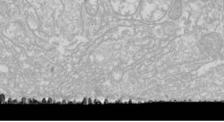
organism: Drosophila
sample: Cell division; meiosis; drosophila spermatocytes